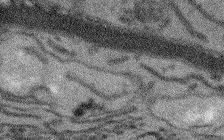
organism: Arabidopsis thaliana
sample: Root tip